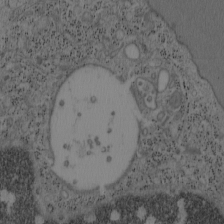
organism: Mouse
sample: OT-I killer T cells with ID8 ovarian cancer cells